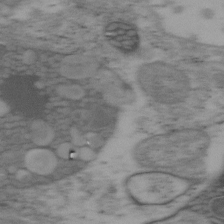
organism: Mouse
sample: OT-I killer T cells with ID8 ovarian cancer cells